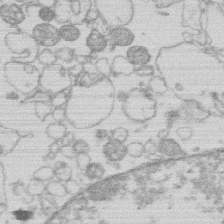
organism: Human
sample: Macrophage cells